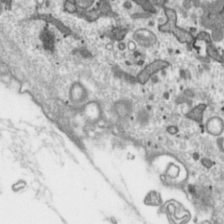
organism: Toxoplasma gondii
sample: Parasites in a vacuole inside a host cell